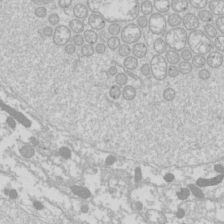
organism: Drosophila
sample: Cell division; meiosis; drosophila spermatocytes